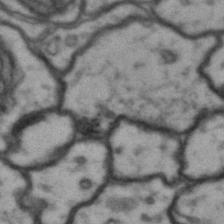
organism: Drosophila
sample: Brain